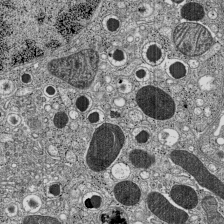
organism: C57BL Mouse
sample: Pancreatic islet